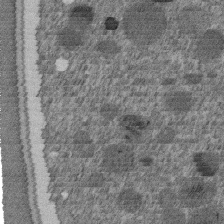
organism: C. elegans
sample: C. elegans embryo early stage